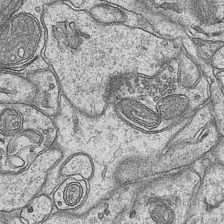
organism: Mouse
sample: CA1 Hippocampus